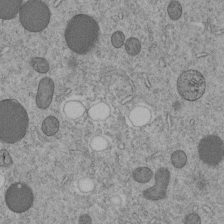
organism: C. elegans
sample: C. elegans embryo early stage